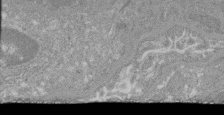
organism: Mouse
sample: Glomerulus